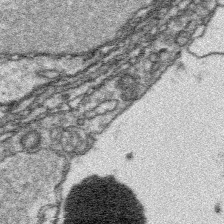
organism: Platynereis dumerilii